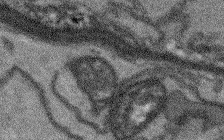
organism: Arabidopsis thaliana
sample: Root tip